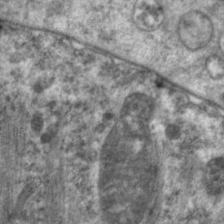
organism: C. elegans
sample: Pharynx